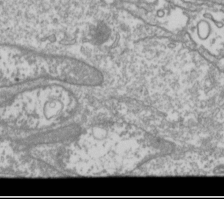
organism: Drosophila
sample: Cell division; meiosis; drosophila spermatocytes